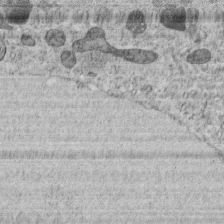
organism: C. elegans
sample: C. elegans embryo early stage